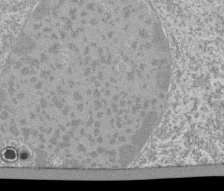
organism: Tetrahymena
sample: Cilia in tetrahymena